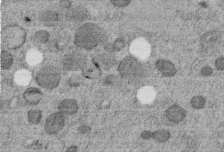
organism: C. elegans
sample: C. elegans embryo early stage